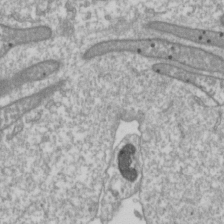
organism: Drosophila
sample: Cell division; meiosis; drosophila spermatocytes